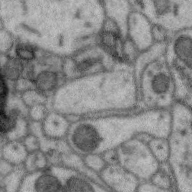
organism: Zebra finch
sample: Brain